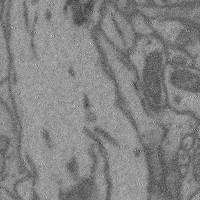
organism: Mouse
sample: Cerebral cortex